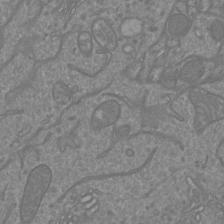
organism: Mouse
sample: Cortical neurons